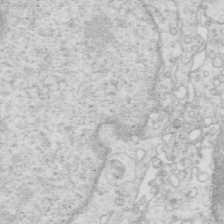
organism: Mouse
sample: Multiciliated cells